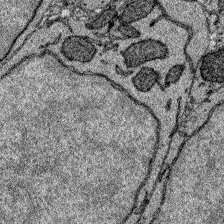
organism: Zebrafish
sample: Larval olfactory bulb